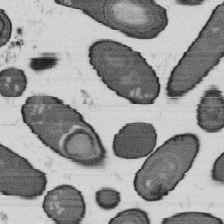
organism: B. subtilis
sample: Bacterial spore